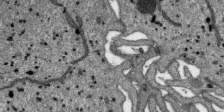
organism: Human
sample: Lung epithelial cells, uninfected (mock) control